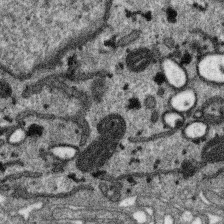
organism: Human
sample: Lung epithelial cells infected with SARS-CoV-2